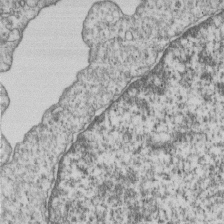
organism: Human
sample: MDA-MB-231 cells